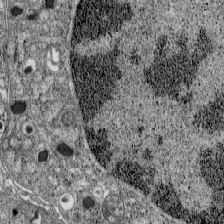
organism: C57BL Mouse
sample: Pancreatic islet